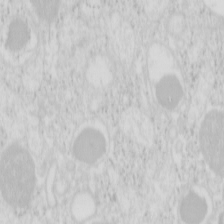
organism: Mouse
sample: Pancreas